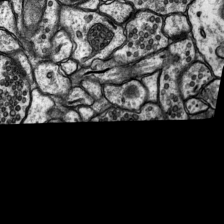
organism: Rat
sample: Hippocampus